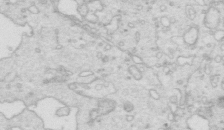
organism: Mouse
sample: Multiciliated cells